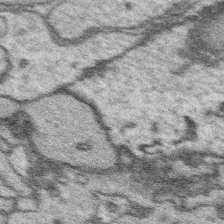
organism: Platynereis dumerilii